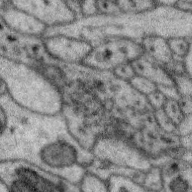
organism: Zebra finch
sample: Brain